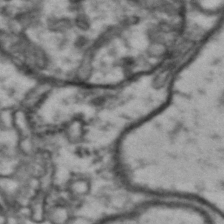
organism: Drosophila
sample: Brain